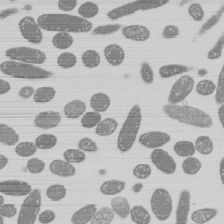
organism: E. coli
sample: Bacterial nucleoid